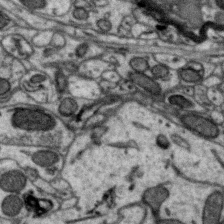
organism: Zebra finch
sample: Brain